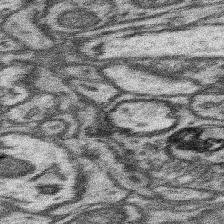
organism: Mouse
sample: Somatosensory cortex neuropil